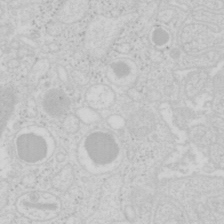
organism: Mouse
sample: Pancreas